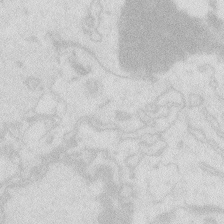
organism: Zebrafish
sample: Macrophage